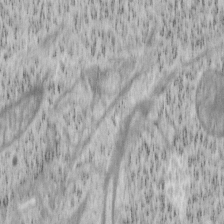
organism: Human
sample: HeLa cells